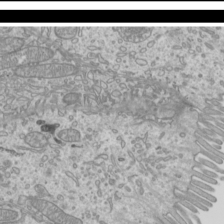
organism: Mouse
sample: Cilia; mouse epididymis